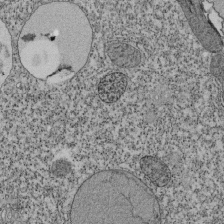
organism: Tetrahymena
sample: Cilia in tetrahymena